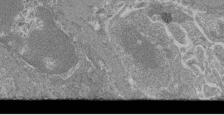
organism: Mouse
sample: Glomerulus